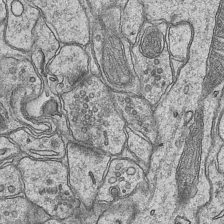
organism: Mouse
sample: CA1 Hippocampus